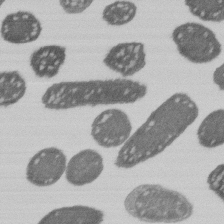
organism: E. coli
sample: Bacterial nucleoid